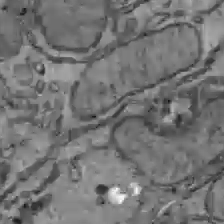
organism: C57BL Mouse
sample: Liver